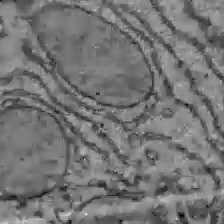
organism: C57BL Mouse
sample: Liver